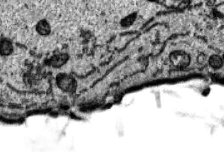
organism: Human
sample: HeLa cells